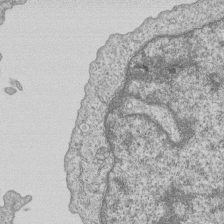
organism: Human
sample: MDA-MB-231 cells